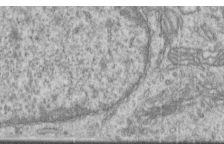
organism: Human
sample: Centriole in RPE cells